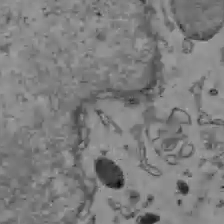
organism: C57BL Mouse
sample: Liver